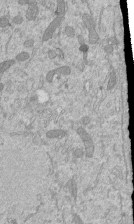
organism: Mouse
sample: ED-1 cell nuclei; centrioles